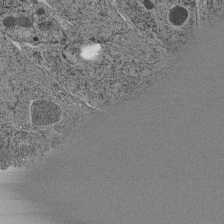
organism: C. elegans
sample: C. elegans pharynx